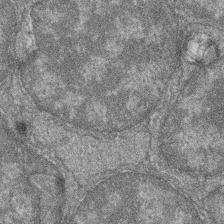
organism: Zebrafish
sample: Cilia; retinal pigment epithelium